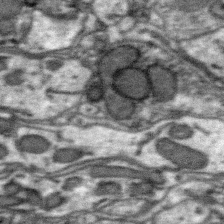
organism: Zebra finch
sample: Brain